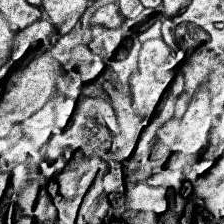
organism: Human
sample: Temporal Lobe